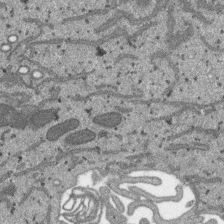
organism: Human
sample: Lung epithelial cells infected with SARS-CoV-2